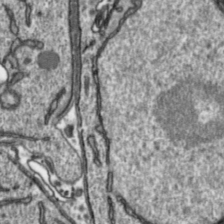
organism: Toxoplasma gondii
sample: Parasites in a vacuole inside a host cell